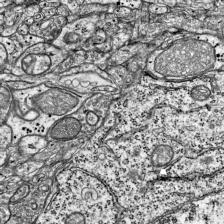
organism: Mouse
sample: Visual Cortex